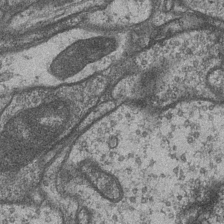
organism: Drosophila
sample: Optic medulla